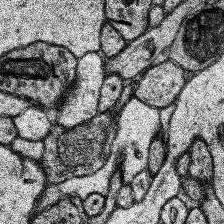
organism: Human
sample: Temporal Lobe